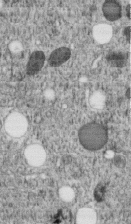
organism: C. elegans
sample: C. elegans embryo early stage